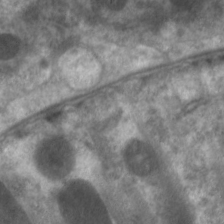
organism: C. elegans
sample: Pharynx